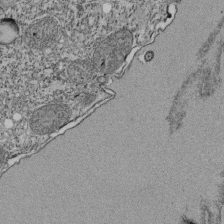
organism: Tetrahymena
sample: Cilia in tetrahymena